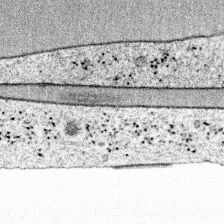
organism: Human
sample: HeLa cells